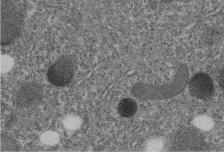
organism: C. elegans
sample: C. elegans embryo early stage